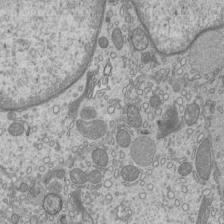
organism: Mouse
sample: Cilia; mouse epididymis